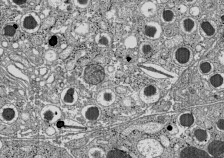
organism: C57BL Mouse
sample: Pancreatic islet